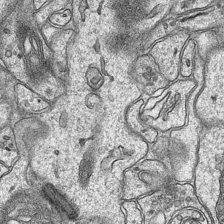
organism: Mouse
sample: CA1 Hippocampus